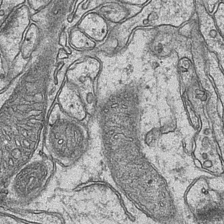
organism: Mouse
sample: CA1 Hippocampus